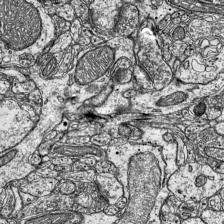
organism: Mouse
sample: Visual Cortex